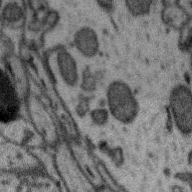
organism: Zebra finch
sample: Brain